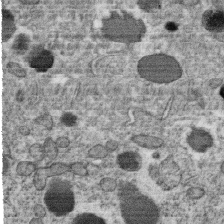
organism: C. elegans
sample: C. elegans oocyte; sperm cells